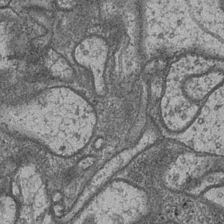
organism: Drosophila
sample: Optic medulla